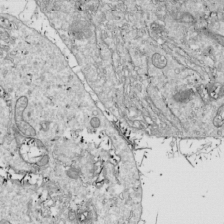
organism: Drosophila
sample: Cell division; meiosis; drosophila spermatocytes